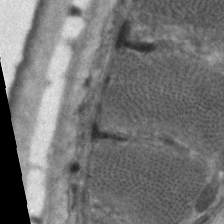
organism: C. elegans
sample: Pharynx